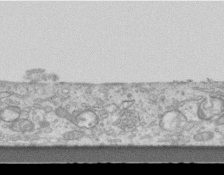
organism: Mouse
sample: Centriole in ependymal cells